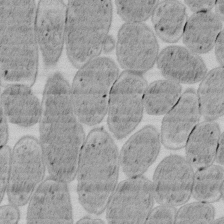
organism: E. coli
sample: Bacterial nucleoid